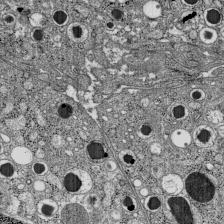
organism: C57BL Mouse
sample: Pancreatic islet